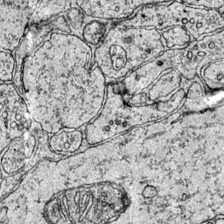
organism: Mouse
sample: Primary visual cortex